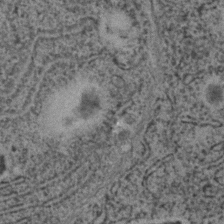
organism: C. elegans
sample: C. elegans embryo